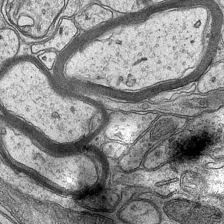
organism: Mouse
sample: CA1 Hippocampus